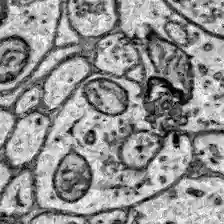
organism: Zebrafish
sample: Brain